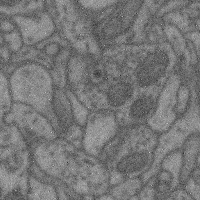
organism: Mouse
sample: Cerebral cortex